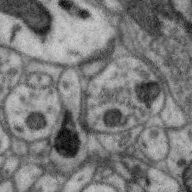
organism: Zebra finch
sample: Brain